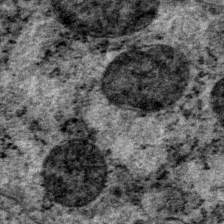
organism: P. pacificus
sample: Pharynx